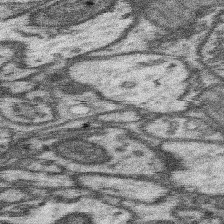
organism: Mouse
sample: Somatosensory cortex neuropil